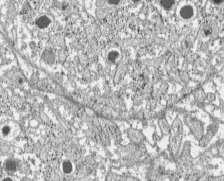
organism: C57BL Mouse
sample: Pancreatic islet